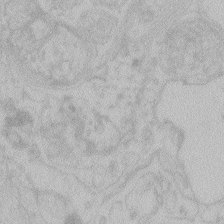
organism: Zebrafish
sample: Macrophage infected with Toxoplasma gondii